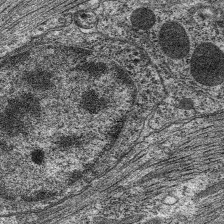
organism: C. elegans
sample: Pharynx